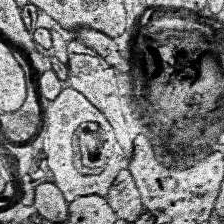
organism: Human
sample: Temporal Lobe